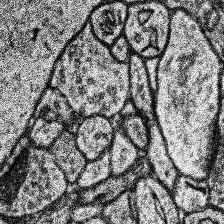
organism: Human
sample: Temporal Lobe